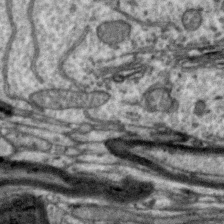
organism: Zebra finch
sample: Brain